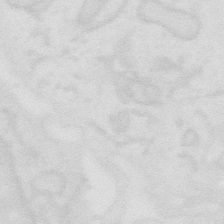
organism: Human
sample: HeLa cells